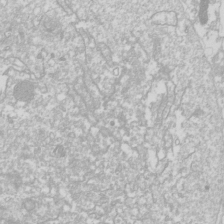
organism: Drosophila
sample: Cell division; meiosis; drosophila spermatocytes